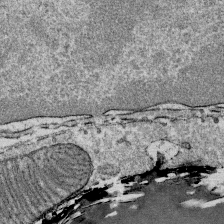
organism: Mouse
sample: Mouse Salivary gland